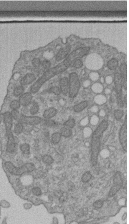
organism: Human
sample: Retinal organoid Rod and Cone cells